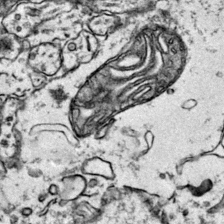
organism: Mouse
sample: Primary visual cortex